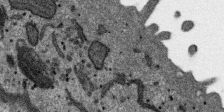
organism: Human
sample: Lung epithelial cells, uninfected (mock) control